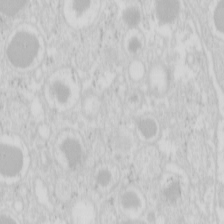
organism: Mouse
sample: Pancreas